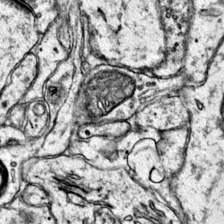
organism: Mouse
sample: Primary visual cortex